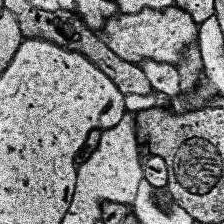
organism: Human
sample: Temporal Lobe